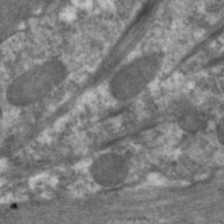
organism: C. elegans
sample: Pharynx